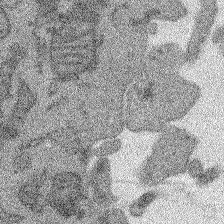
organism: Human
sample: HeLa cells